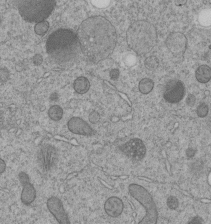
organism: C. elegans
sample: C. elegans embryo early stage